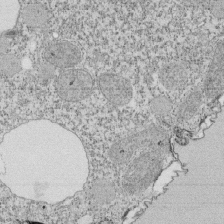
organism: Tetrahymena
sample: Cilia in tetrahymena